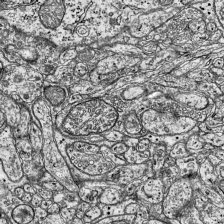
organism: Mouse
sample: Visual Cortex